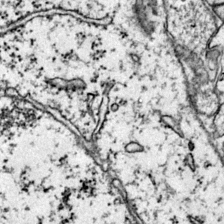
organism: Mouse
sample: Primary visual cortex